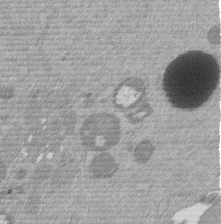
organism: Mouse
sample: Dividing mouse embryo 1 cell stage